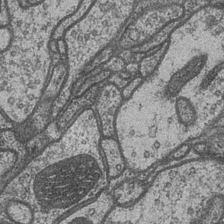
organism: Drosophila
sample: Optic medulla